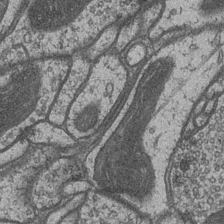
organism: Drosophila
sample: Optic medulla